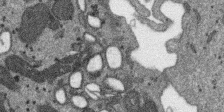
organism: Human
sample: Lung epithelial cells infected with SARS-CoV-2